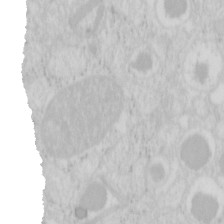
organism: Mouse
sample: Pancreas